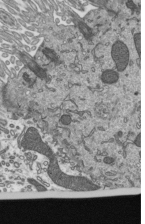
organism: Mouse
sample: Mouse epididymis efferent ductule cilia